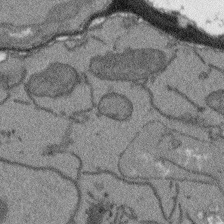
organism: Arabidopsis thaliana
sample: Root tip